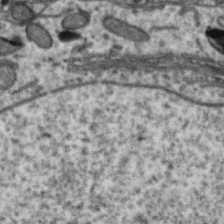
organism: Zebra finch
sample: Brain